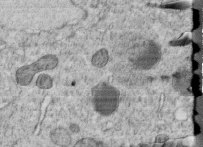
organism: C. elegans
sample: C. elegans embryo early stage